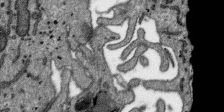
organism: Human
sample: Lung epithelial cells, uninfected (mock) control